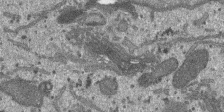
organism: Human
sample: Lung epithelial cells infected with SARS-CoV-2